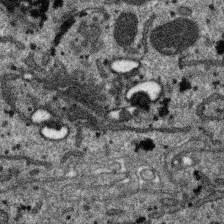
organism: Human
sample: Lung epithelial cells infected with SARS-CoV-2